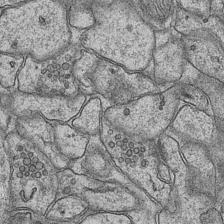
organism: Mouse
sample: CA1 Hippocampus